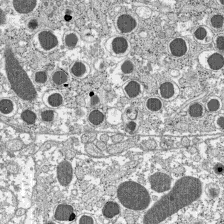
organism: C57BL Mouse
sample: Pancreatic islet